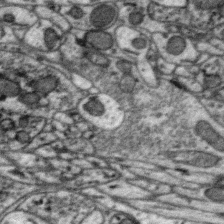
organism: Zebra finch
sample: Brain